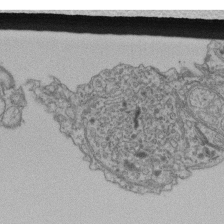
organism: Human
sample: Retinal organoid Rod and Cone cells